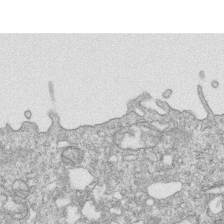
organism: Human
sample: HeLa cell HIV synapse